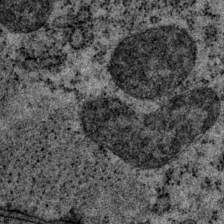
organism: P. pacificus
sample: Pharynx